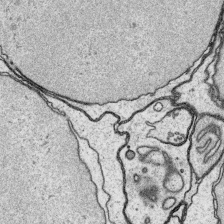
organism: Platynereis dumerilii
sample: Parapodia